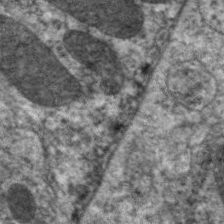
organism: C. elegans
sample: Pharynx